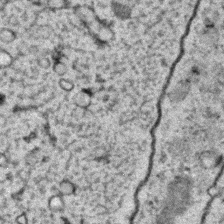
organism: C. elegans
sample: C. elegans embryo